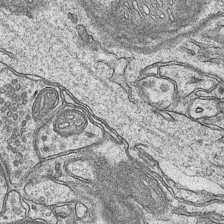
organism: Mouse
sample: CA1 Hippocampus